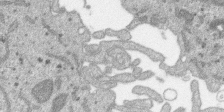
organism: Human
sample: Lung epithelial cells infected with SARS-CoV-2